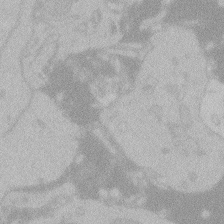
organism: Zebrafish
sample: Macrophage infected with Toxoplasma gondii